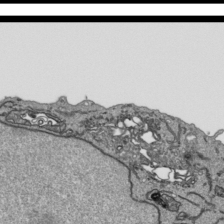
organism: Human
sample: Mitochondria in HCT116 cells